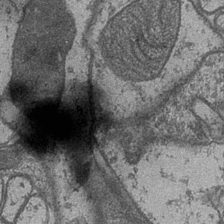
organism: Drosophila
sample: Optic medulla